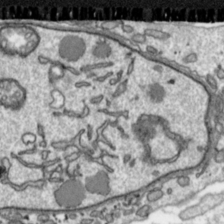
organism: Toxoplasma gondii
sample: Parasites in a vacuole inside a host cell